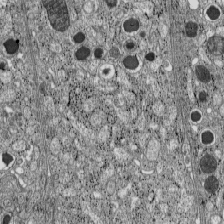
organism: C57BL Mouse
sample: Pancreatic islet